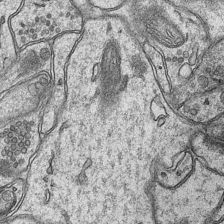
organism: Mouse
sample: CA1 Hippocampus